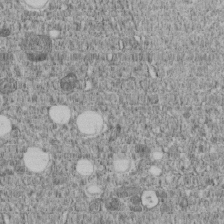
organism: C. elegans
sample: C. elegans embryo early stage